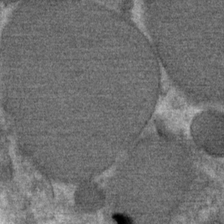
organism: Mouse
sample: Mouse Salivary gland